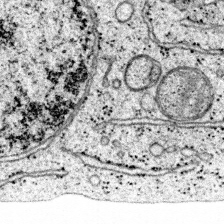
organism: Human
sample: HeLa cells